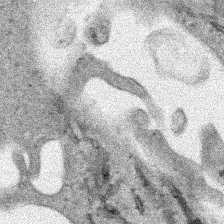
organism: Human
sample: Mitochondria in HCT116 cells